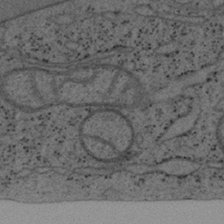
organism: Human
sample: HeLa cells